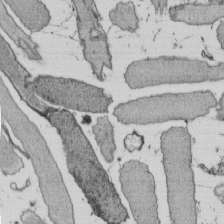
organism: E. coli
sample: Bacterial nucleoid